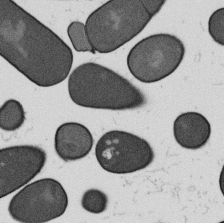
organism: B. subtilis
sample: Bacterial spore